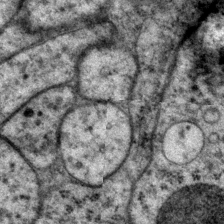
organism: P. pacificus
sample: Pharynx